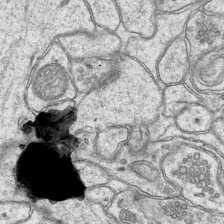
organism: Mouse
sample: CA1 Hippocampus